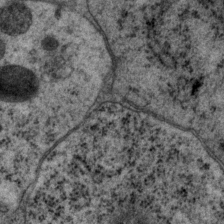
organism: P. pacificus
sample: Pharynx